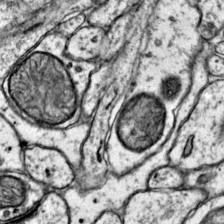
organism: Mouse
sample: Primary visual cortex